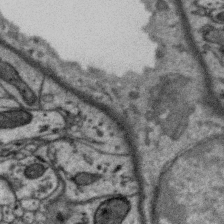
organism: Zebra finch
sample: Brain